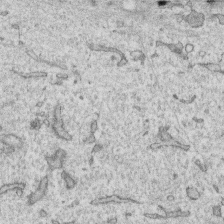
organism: Human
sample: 1205lu cells